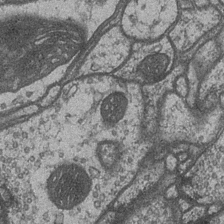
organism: Drosophila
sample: Optic medulla